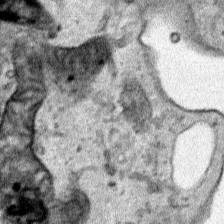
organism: Human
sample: Mitochondria in HCT116 cells